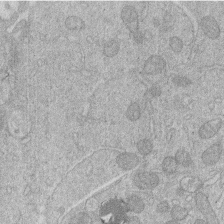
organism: Human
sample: Macrophage cells